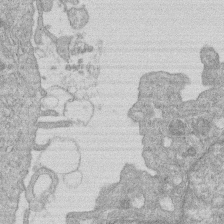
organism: Human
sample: Macrophage cells